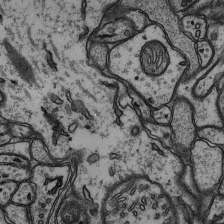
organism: Rat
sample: Hippocampus